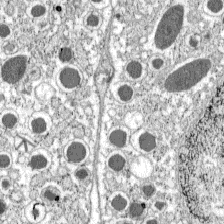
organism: C57BL Mouse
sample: Pancreatic islet